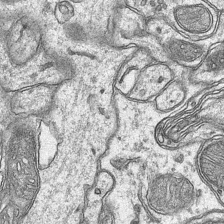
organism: Mouse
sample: CA1 Hippocampus